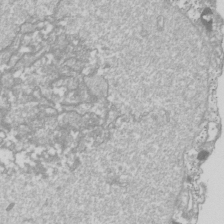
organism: Drosophila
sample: Cell division; meiosis; drosophila spermatocytes